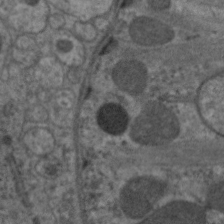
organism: C. elegans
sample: Pharynx